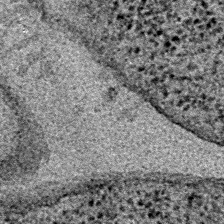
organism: E. coli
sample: E. Coli Bacteria